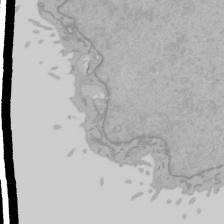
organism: Mouse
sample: Cancer cell death in ED-1 cells